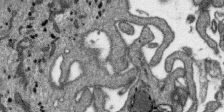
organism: Human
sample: Lung epithelial cells, uninfected (mock) control